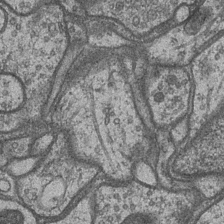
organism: Drosophila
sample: Optic medulla